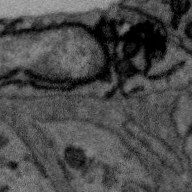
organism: Zebra finch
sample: Brain